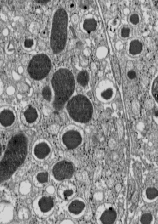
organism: C57BL Mouse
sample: Pancreatic islet